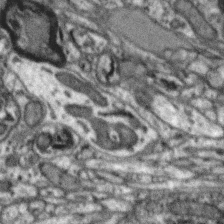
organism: Zebra finch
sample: Brain